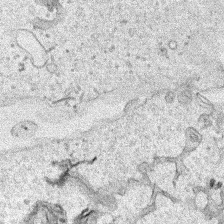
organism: Human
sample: Mitochondria in HCT116 cells